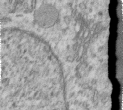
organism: Human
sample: Centriole in RPE cells